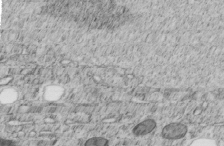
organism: C. elegans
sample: C. elegans embryo early stage